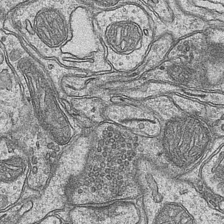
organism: Mouse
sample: CA1 Hippocampus